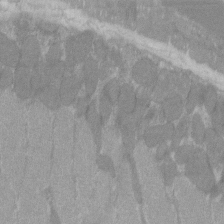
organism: C57BL Mouse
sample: Tibialis anterior muscle cell